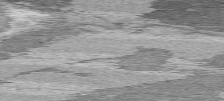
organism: C57BL Mouse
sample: Heart